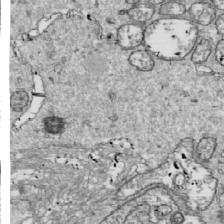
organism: Drosophila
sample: Cell division; meiosis; drosophila spermatocytes